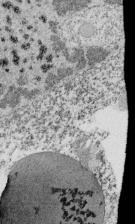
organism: Tetrahymena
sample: Cilia in tetrahymena